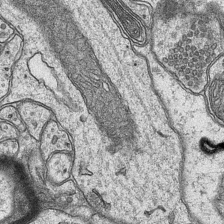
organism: Mouse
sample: CA1 Hippocampus